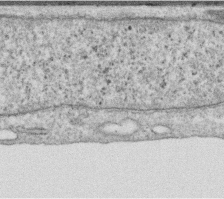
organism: Human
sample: Centriole in RPE cells